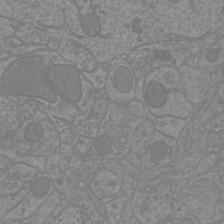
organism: Mouse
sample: Cortical neurons